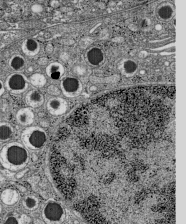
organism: C57BL Mouse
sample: Pancreatic islet